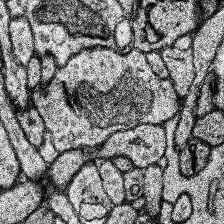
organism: Human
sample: Temporal Lobe